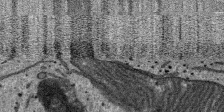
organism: Human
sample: Lung epithelial cells, uninfected (mock) control